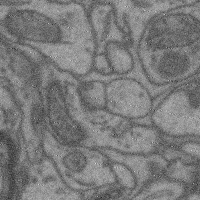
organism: Mouse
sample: Cerebral cortex